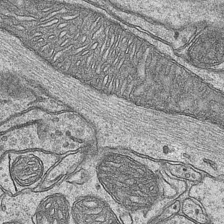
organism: Mouse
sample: CA1 Hippocampus